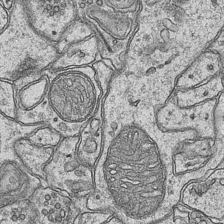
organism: Mouse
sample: CA1 Hippocampus